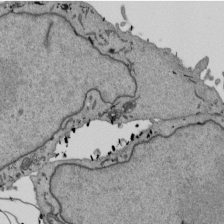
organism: Mouse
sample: ED-1 cell nuclei; centrioles